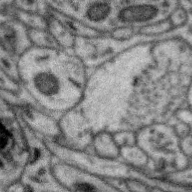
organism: Zebra finch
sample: Brain